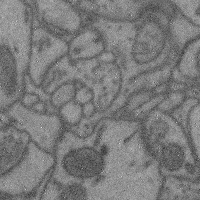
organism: Mouse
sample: Cerebral cortex